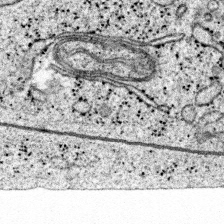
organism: Human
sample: HeLa cells